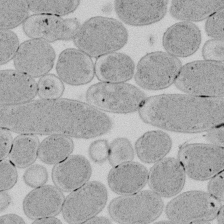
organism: E. coli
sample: Bacterial nucleoid